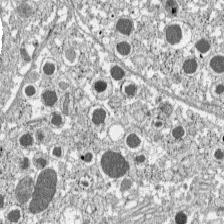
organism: C57BL Mouse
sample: Pancreatic islet